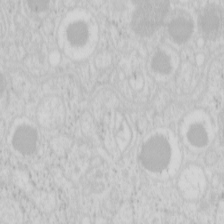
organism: Mouse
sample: Pancreas